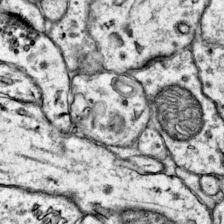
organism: Mouse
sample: Primary visual cortex